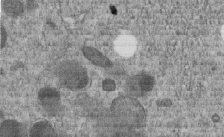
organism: C. elegans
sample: C. elegans embryo early stage